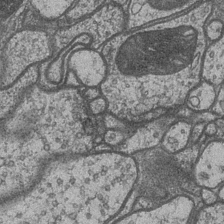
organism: Drosophila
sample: Optic medulla